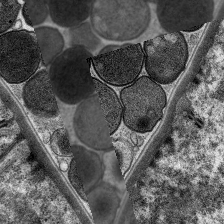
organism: C. elegans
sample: Pharynx